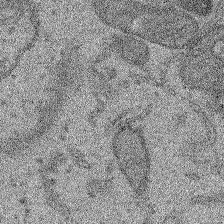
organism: Human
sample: HeLa cells